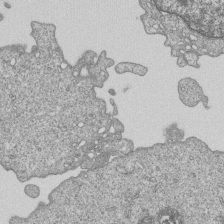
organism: Human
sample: MDA-MB-231 cells